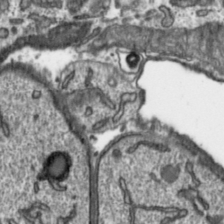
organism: Toxoplasma gondii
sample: Parasites in a vacuole inside a host cell